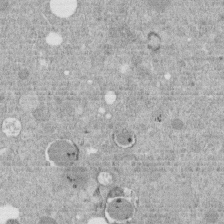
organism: C. elegans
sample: C. elegans embryo early stage